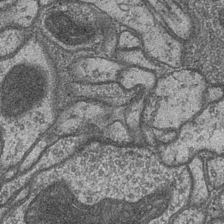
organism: Drosophila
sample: Optic medulla